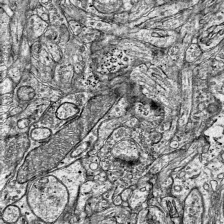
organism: Mouse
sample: Visual Cortex